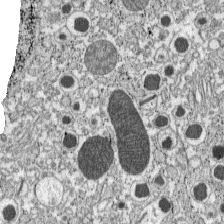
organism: C57BL Mouse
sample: Pancreatic islet